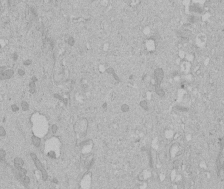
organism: Human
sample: Melanocyte Keratinocyte synapse skin construct